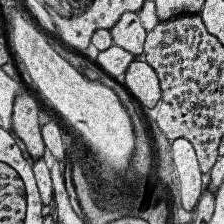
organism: Human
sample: Temporal Lobe